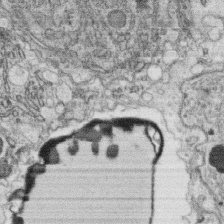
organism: C. elegans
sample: C. elegans oocyte; sperm cells